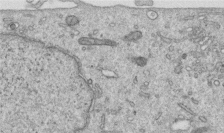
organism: Human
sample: Centriole in RPE cells